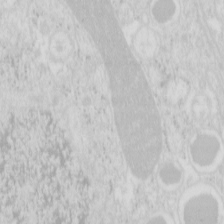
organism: Mouse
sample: Pancreas